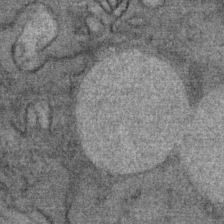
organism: Mouse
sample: Mouse Salivary gland